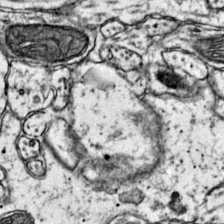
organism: Mouse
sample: Primary visual cortex